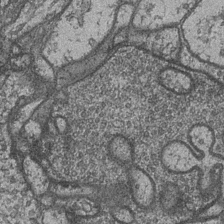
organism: Drosophila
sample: Optic medulla